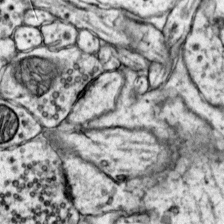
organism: Mouse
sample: Primary visual cortex